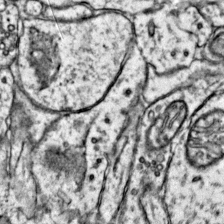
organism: Mouse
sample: Primary visual cortex